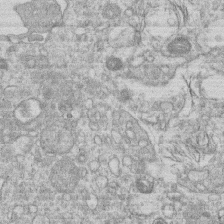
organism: Human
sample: Macrophage cells